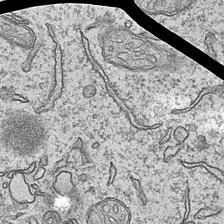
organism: Mouse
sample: CA1 Hippocampus